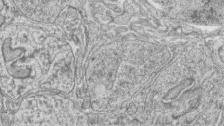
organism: Zebrafish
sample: synaptic ribbons in rod cells and cone cells